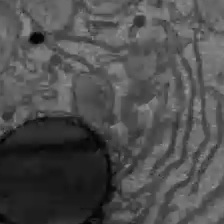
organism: C57BL Mouse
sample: Liver